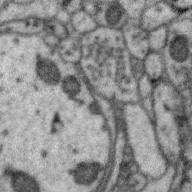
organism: Zebra finch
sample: Brain